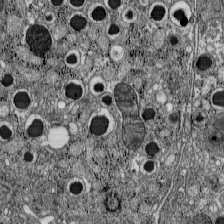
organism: C57BL Mouse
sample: Pancreatic islet